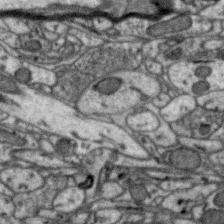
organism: Zebra finch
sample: Brain